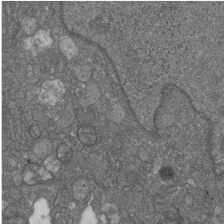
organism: Drosophila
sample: Nephrocyte